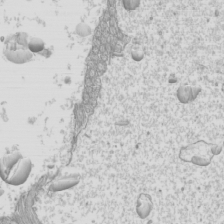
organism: Mouse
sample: Cilia; mouse epididymis